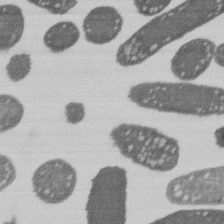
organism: E. coli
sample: Bacterial nucleoid